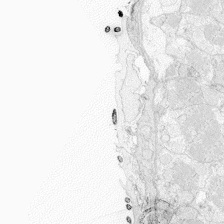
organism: Zebrafish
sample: Whole-Brain